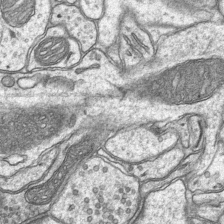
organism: Mouse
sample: CA1 Hippocampus